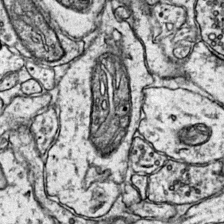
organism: Mouse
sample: Primary visual cortex